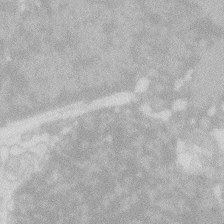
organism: Zebrafish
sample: Macrophage